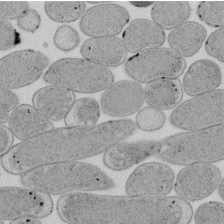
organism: E. coli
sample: Bacterial nucleoid